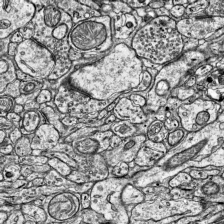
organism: Mouse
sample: Visual Cortex